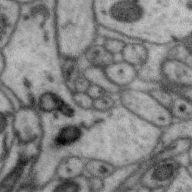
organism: Zebra finch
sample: Brain